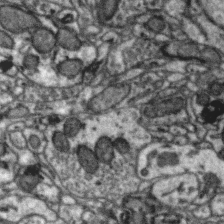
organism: Zebra finch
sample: Brain